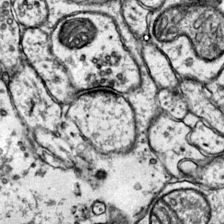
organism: Mouse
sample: Primary visual cortex